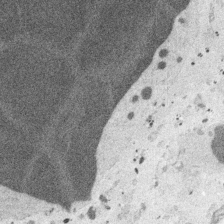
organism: Embia sp.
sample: Silk gland